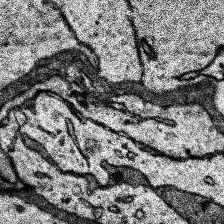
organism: Human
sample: Temporal Lobe